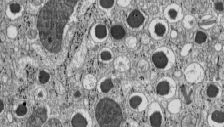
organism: C57BL Mouse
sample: Pancreatic islet